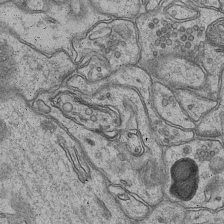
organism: Mouse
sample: CA1 Hippocampus